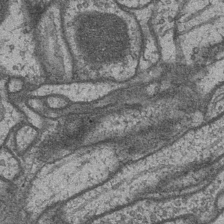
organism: Drosophila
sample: Optic medulla